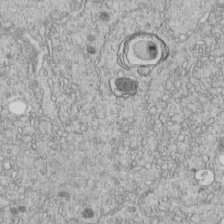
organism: C. elegans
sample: C. elegans embryo early stage